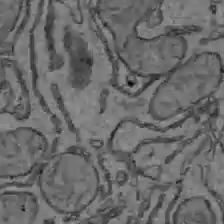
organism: C57BL Mouse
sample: Liver